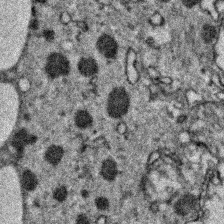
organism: Zebrafish